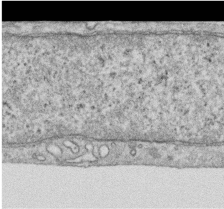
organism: Human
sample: Centriole in RPE cells